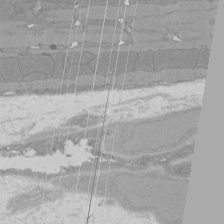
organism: Rat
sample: Left ventricle